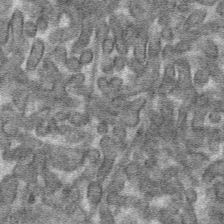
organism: Mouse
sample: Mouse hepatocytes